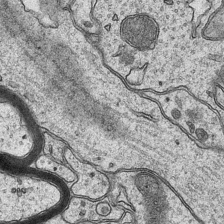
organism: Mouse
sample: CA1 Hippocampus